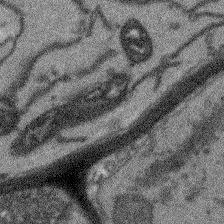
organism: Arabidopsis thaliana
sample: Root tip